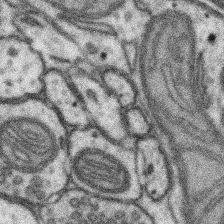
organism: Mouse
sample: Somatosensory cortex neuropil